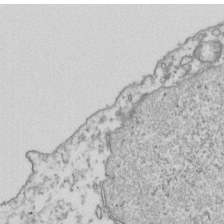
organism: Human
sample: Activated Jurkat CD4+ T cells